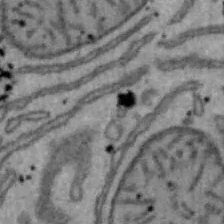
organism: Mouse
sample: Liver